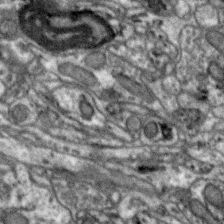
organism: Zebra finch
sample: Brain